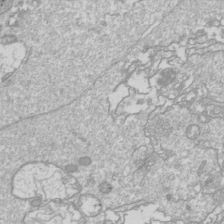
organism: Drosophila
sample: Cell division; meiosis; drosophila spermatocytes